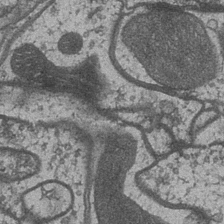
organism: Drosophila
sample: Optic medulla